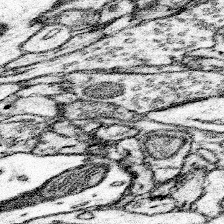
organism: Mouse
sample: Somatosensory cortex neuropil